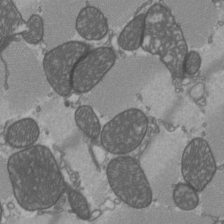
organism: C57BL Mouse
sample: Heart